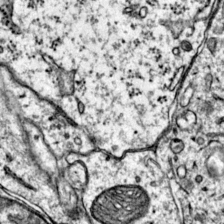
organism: Mouse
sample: Primary visual cortex